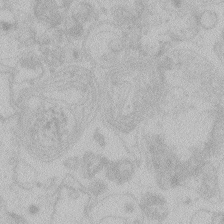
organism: Zebrafish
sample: Macrophage infected with Toxoplasma gondii